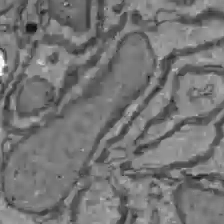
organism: C57BL Mouse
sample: Liver